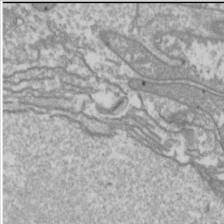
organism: Drosophila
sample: Cell division; meiosis; drosophila spermatocytes